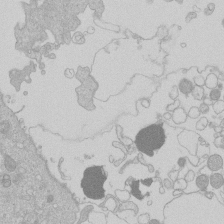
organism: Human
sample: Macrophage cells